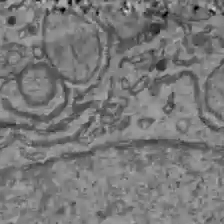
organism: C57BL Mouse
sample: Liver